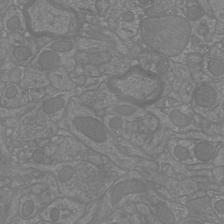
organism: Mouse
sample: Cortical neurons